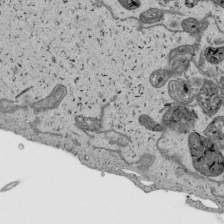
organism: Human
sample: Mitochondria in HCT116 cells